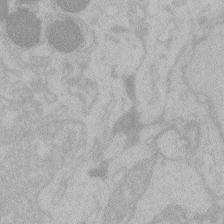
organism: Zebrafish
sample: Macrophage infected with Toxoplasma gondii